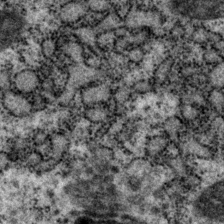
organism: P. pacificus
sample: Pharynx